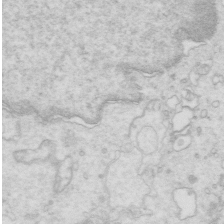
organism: Mouse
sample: Multiciliated cells